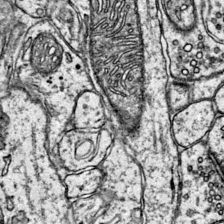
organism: Mouse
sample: Primary visual cortex